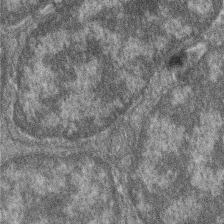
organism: Zebrafish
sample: Cilia; retinal pigment epithelium